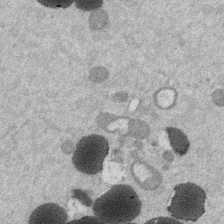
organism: Mouse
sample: Dividing mouse embryo 1 cell stage